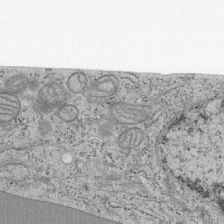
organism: Human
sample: HeLa cells